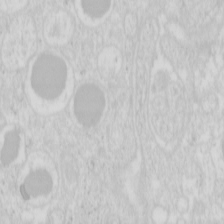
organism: Mouse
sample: Pancreas